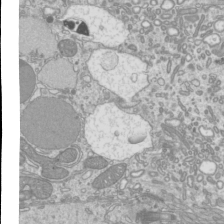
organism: Mouse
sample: Cilia; mouse epididymis